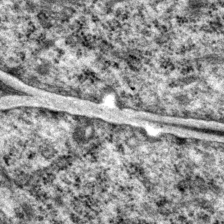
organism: P. pacificus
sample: Pharynx